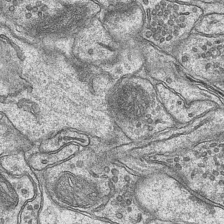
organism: Mouse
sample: CA1 Hippocampus